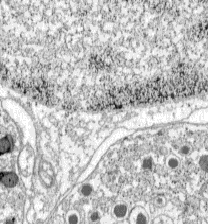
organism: C57BL Mouse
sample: Pancreatic islet